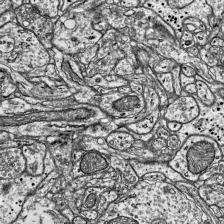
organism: Mouse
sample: Visual Cortex